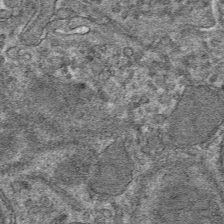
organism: Mouse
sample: Mouse hepatocytes